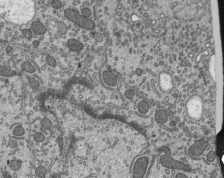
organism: Mouse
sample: Mouse epididymis efferent ductule cilia